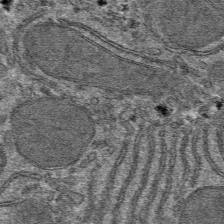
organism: Mouse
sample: Mouse hepatocytes